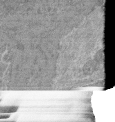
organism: Mouse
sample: Glomerulus